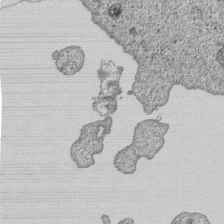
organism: Human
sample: MDA-MB-231 cells